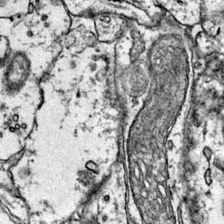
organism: Mouse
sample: Primary visual cortex